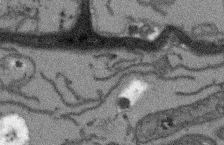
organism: Arabidopsis thaliana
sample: Root tip